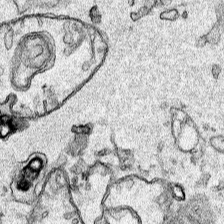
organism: Human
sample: Mitochondria in HCT116 cells